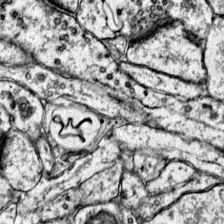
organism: Mouse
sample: Primary visual cortex